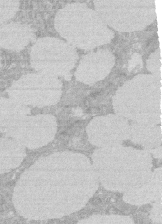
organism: Rat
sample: Salivary granule